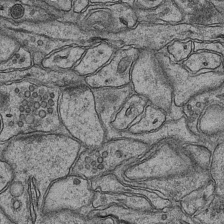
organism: Mouse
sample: CA1 Hippocampus